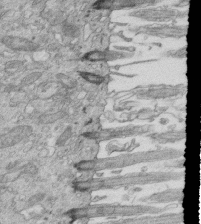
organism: Mouse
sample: Multiciliated cells